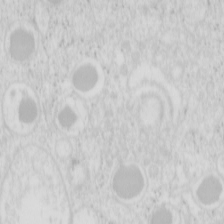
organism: Mouse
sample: Pancreas